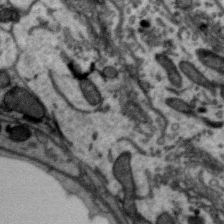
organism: Zebra finch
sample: Brain